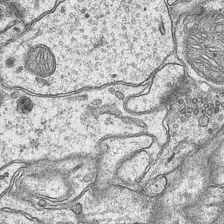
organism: Mouse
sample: CA1 Hippocampus